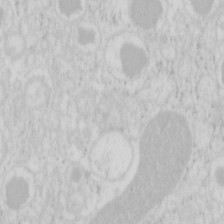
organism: Mouse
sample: Pancreas